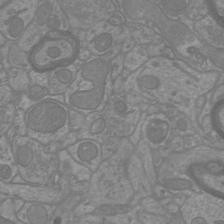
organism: Mouse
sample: Cortical neurons